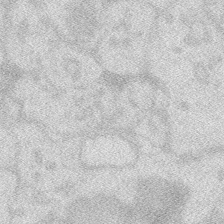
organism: Zebrafish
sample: Macrophage